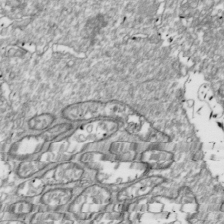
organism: Drosophila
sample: Cell division; meiosis; drosophila spermatocytes